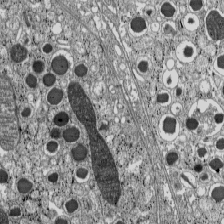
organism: C57BL Mouse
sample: Pancreatic islet